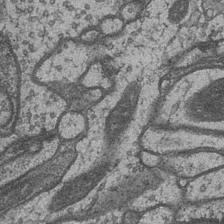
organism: Drosophila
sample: Optic medulla